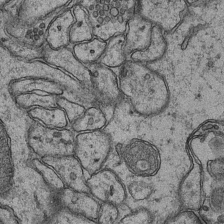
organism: Mouse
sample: CA1 Hippocampus